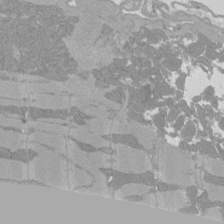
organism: Rat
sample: Left ventricle